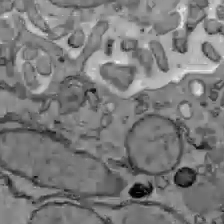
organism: C57BL Mouse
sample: Liver